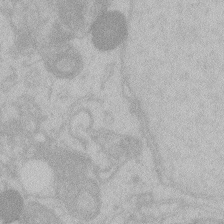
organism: Zebrafish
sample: Macrophage infected with Toxoplasma gondii